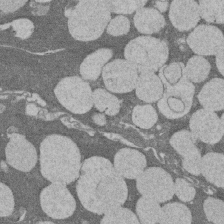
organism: Rat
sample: Salivary granule